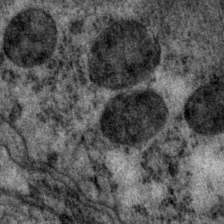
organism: P. pacificus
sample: Pharynx